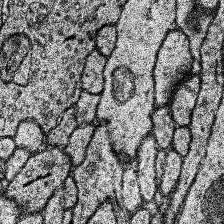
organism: Human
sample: Temporal Lobe